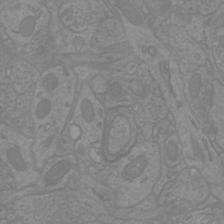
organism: Mouse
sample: Cortical neurons